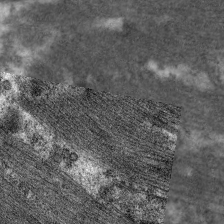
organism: C. elegans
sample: Pharynx